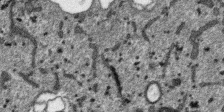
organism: Human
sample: Lung epithelial cells infected with SARS-CoV-2